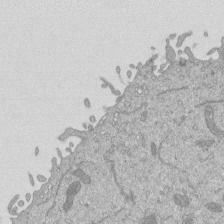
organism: Mouse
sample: ED-1 cell nuclei; centrioles